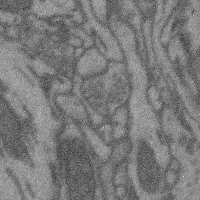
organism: Mouse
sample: Cerebral cortex